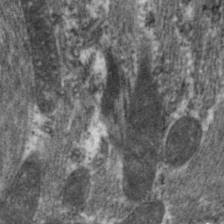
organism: C. elegans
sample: Pharynx